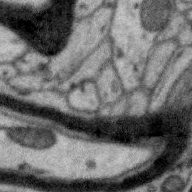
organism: Zebra finch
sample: Brain